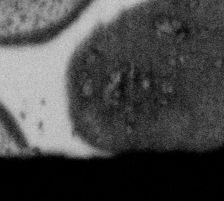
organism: Gemmata obscuriglobus